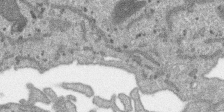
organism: Human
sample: Lung epithelial cells infected with SARS-CoV-2